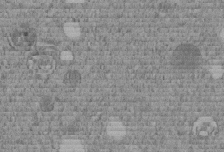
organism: C. elegans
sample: C. elegans embryo early stage